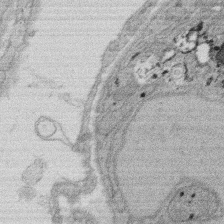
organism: Rat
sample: Salivary granule